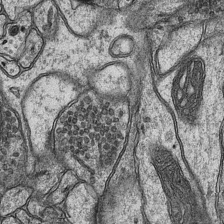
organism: Mouse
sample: CA1 Hippocampus